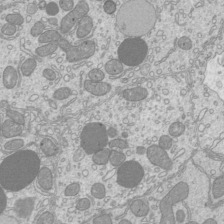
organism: Mouse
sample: Cilia; mouse epididymis